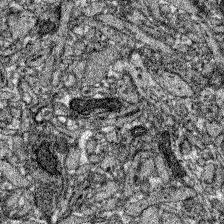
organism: Zebrafish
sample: Larval olfactory bulb